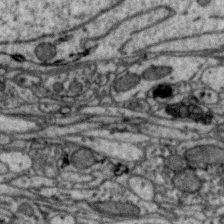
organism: Zebra finch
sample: Brain